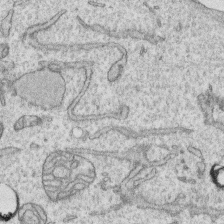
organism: Human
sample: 1205lu cells